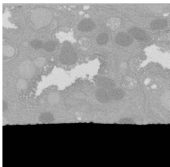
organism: C. elegans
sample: C. elegans oocyte; sperm cells